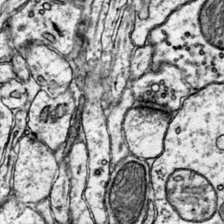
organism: Mouse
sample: Primary visual cortex